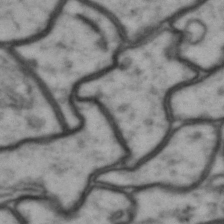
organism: Drosophila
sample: Brain